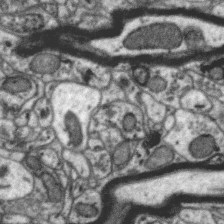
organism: Zebra finch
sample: Brain